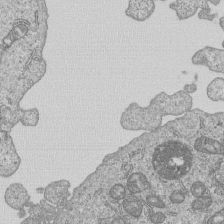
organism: Human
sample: MDA-MB-231 cells